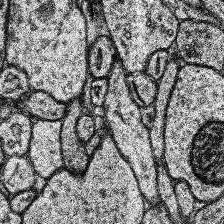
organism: Human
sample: Temporal Lobe